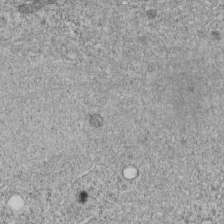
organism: C. elegans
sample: C. elegans embryo early stage